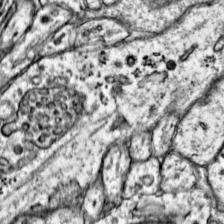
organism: Mouse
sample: Primary visual cortex